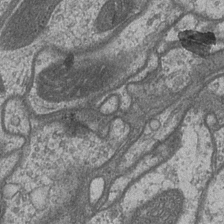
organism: Drosophila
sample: Optic medulla